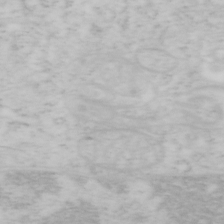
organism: Mouse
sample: OT-I killer T cells with ID8 ovarian cancer cells